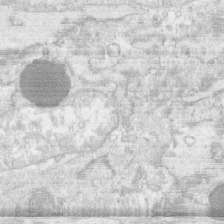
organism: Human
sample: CRL-1474